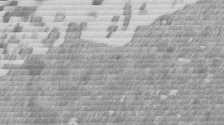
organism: Mouse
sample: Dividing mouse embryo 1 cell stage